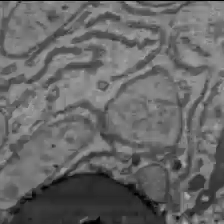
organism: C57BL Mouse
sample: Liver